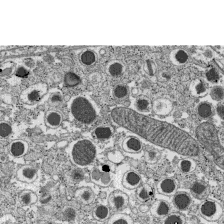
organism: C57BL Mouse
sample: Pancreatic islet